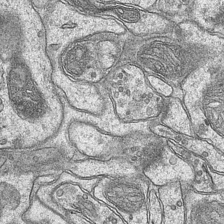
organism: Mouse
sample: CA1 Hippocampus